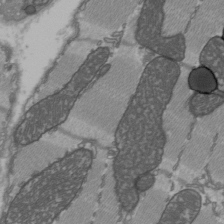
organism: C57BL Mouse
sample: Heart